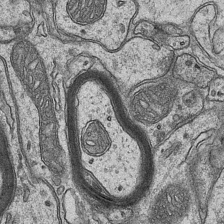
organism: Mouse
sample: CA1 Hippocampus